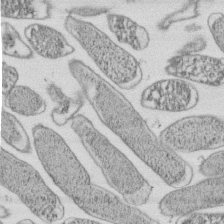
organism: E. coli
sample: Bacterial nucleoid